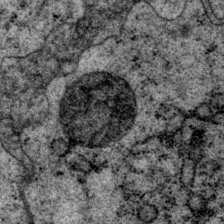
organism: P. pacificus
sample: Pharynx